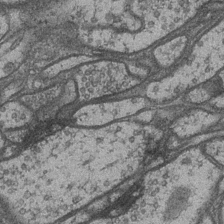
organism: Drosophila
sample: Optic medulla